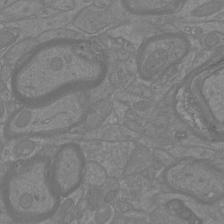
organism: Mouse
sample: Cortical neurons